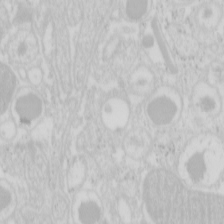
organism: Mouse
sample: Pancreas